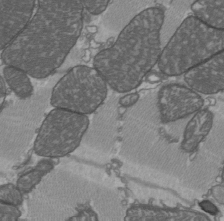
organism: C57BL Mouse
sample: Heart